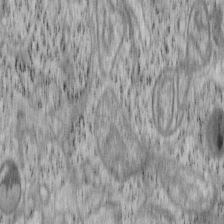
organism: Human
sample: HeLa cells